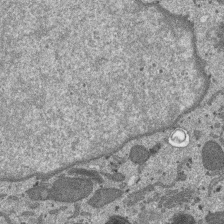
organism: Human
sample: Lung epithelial cells infected with SARS-CoV-2